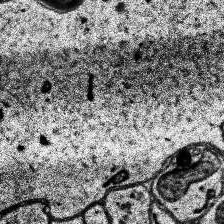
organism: Human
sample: Temporal Lobe